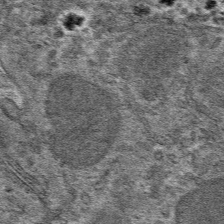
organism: Mouse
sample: Mouse hepatocytes